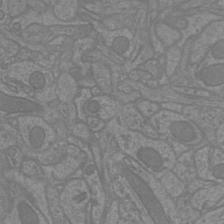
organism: Mouse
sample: Cortical neurons